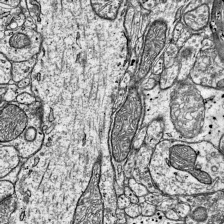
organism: Mouse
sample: Visual Cortex